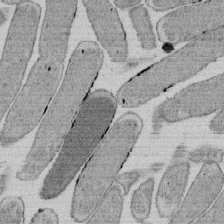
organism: E. coli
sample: Bacterial nucleoid